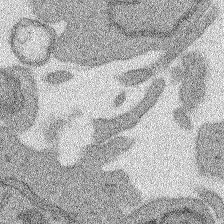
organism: Human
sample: HeLa cells